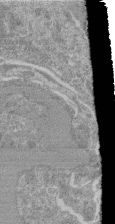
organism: Mouse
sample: Glomerulus